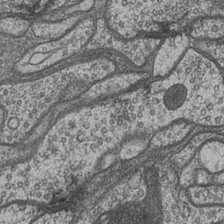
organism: Drosophila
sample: Optic medulla